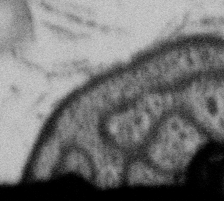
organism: Gemmata obscuriglobus